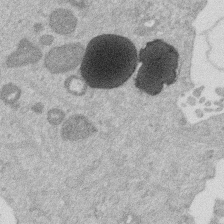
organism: Mouse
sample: Dividing mouse embryo 1 cell stage